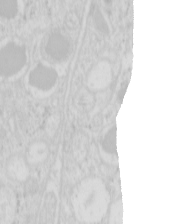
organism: Mouse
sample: Pancreas